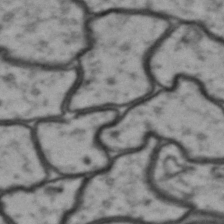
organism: Drosophila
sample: Brain